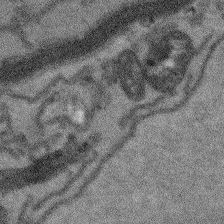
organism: Arabidopsis thaliana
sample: Root tip